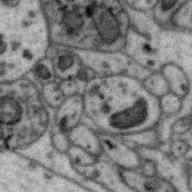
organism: Zebra finch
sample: Brain